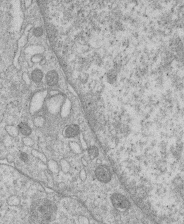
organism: Human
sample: Macrophage cells